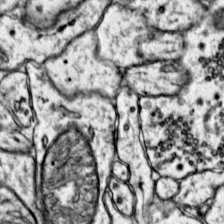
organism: Mouse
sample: Primary visual cortex